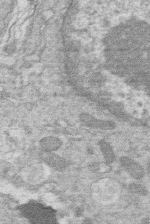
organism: Human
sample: Macrophage cells